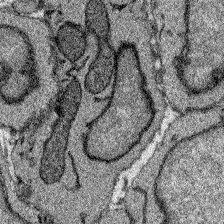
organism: Zebrafish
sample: Larval olfactory bulb